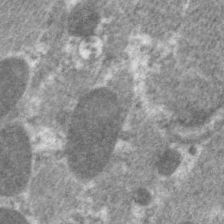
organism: C. elegans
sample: Pharynx